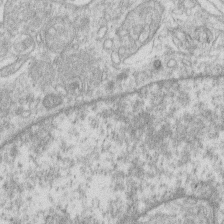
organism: Human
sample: Macrophage cells